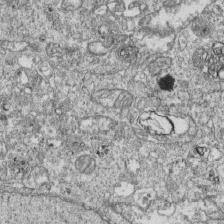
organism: Human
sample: HeLa cell HIV synapse